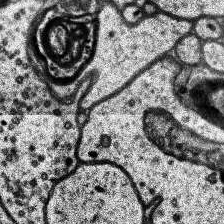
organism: Human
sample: Temporal Lobe